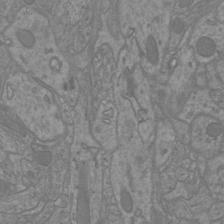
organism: Mouse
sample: Cortical neurons